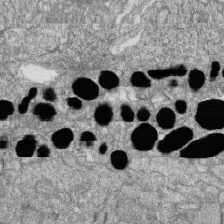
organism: Zebrafish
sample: Cilia; retinal pigment epithelium